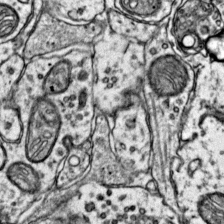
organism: Mouse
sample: Primary visual cortex